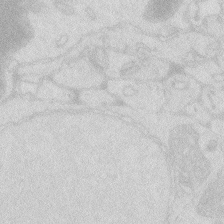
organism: Zebrafish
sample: Macrophage